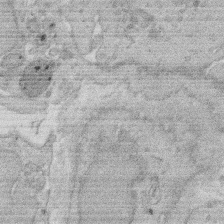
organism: Rat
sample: Salivary granule